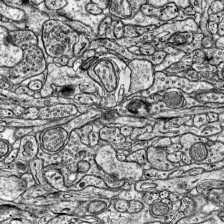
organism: Mouse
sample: Visual Cortex